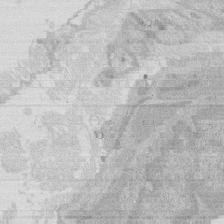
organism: Rat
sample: Salivary granule